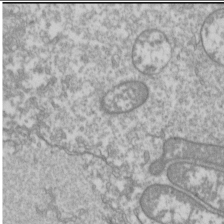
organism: Drosophila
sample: Cell division; meiosis; drosophila spermatocytes